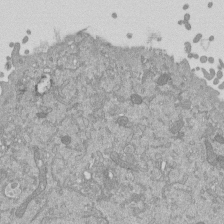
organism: Mouse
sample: ED-1 cell nuclei; centrioles